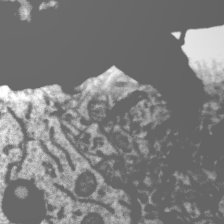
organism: Zebra finch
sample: Brain